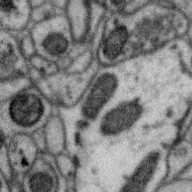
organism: Zebra finch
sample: Brain